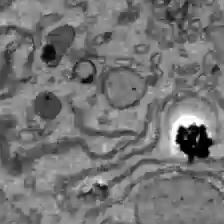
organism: C57BL Mouse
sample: Liver